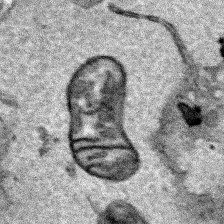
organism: Human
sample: Mitochondria in HCT116 cells